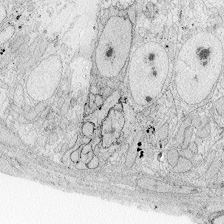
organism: Zebrafish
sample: Whole-Brain